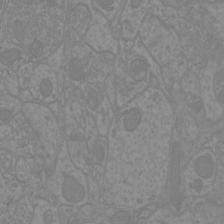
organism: Mouse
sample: Cortical neurons